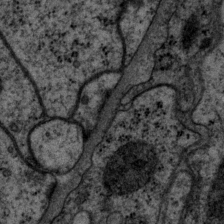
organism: P. pacificus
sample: Pharynx